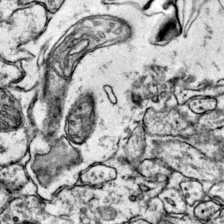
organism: Mouse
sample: Primary visual cortex